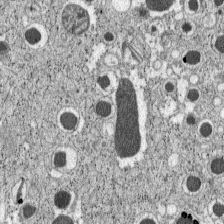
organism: C57BL Mouse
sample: Pancreatic islet